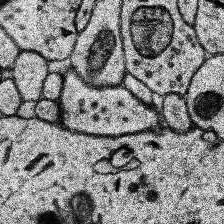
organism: Human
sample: Temporal Lobe